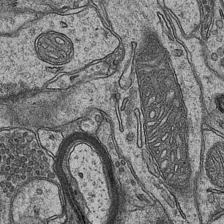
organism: Mouse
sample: CA1 Hippocampus